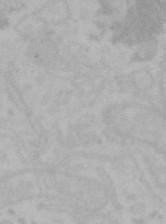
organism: Mouse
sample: Choroid plexus